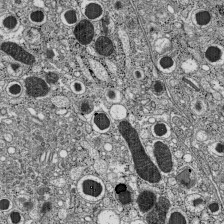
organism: C57BL Mouse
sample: Pancreatic islet